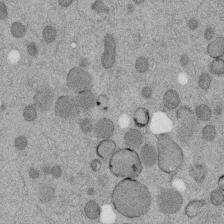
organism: C. elegans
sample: C. elegans embryo early stage